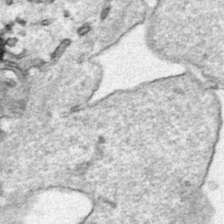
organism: Human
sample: Mitochondria in HCT116 cells